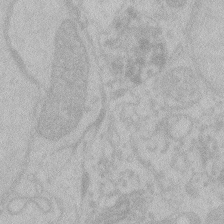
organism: Zebrafish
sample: Macrophage infected with Toxoplasma gondii